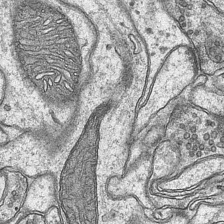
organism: Mouse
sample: CA1 Hippocampus